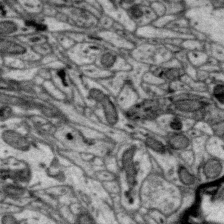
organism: Zebra finch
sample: Brain